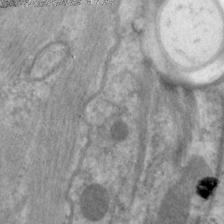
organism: C. elegans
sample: Pharynx